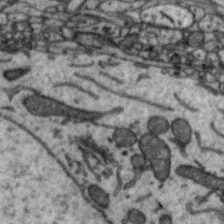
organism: Zebra finch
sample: Brain